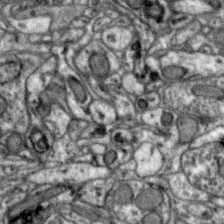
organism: Zebra finch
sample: Brain